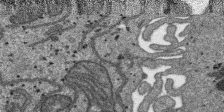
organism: Human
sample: Lung epithelial cells infected with SARS-CoV-2